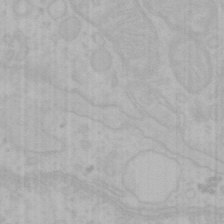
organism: Mouse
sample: Choroid plexus